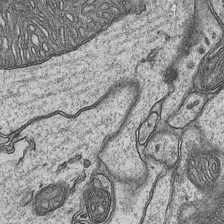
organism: Mouse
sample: CA1 Hippocampus